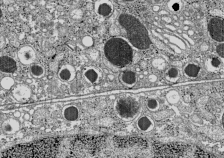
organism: C57BL Mouse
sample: Pancreatic islet